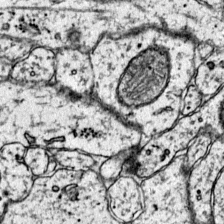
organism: Mouse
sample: Primary visual cortex